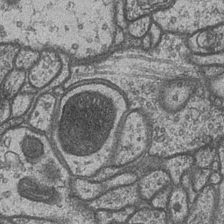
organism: Drosophila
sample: Optic medulla